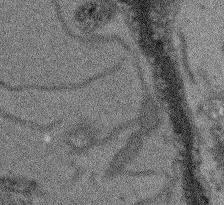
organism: Arabidopsis thaliana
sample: Root tip